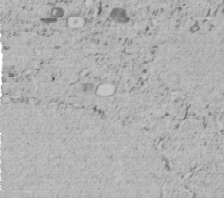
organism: C. elegans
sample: C. elegans embryo early stage